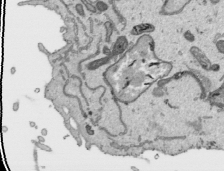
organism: Human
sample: Mitochondria in HCT116 cells